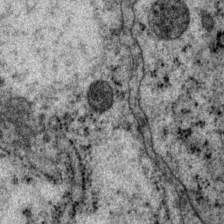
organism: P. pacificus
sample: Pharynx